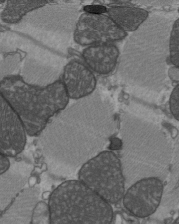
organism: C57BL Mouse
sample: Heart